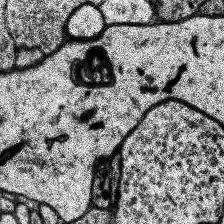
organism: Human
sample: Temporal Lobe